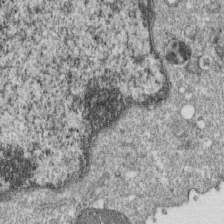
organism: African green monkey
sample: Vero E6 cells infected with SARS-CoV-2